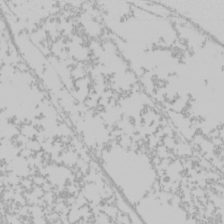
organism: Mouse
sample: Cancer cell death in ED-1 cells